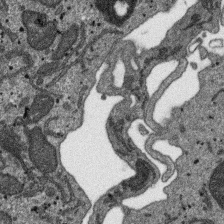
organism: Human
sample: Lung epithelial cells infected with SARS-CoV-2